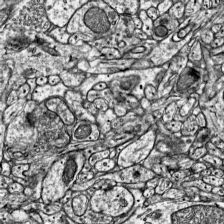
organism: Mouse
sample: Visual Cortex